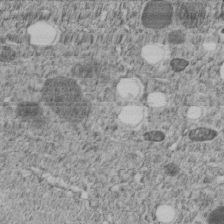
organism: C. elegans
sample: C. elegans embryo early stage